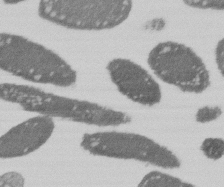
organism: E. coli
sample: Bacterial nucleoid